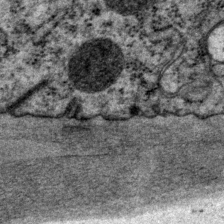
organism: P. pacificus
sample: Pharynx